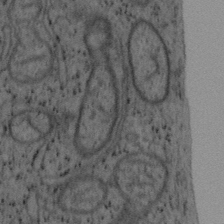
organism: Human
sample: HeLa cells